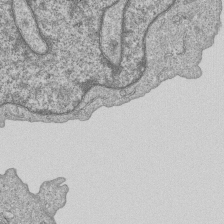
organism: Human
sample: MDA-MB-231 cells